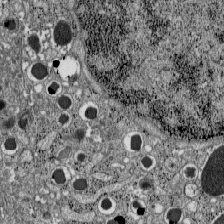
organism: C57BL Mouse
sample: Pancreatic islet